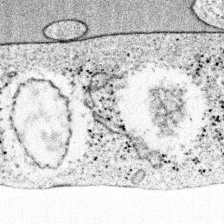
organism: Human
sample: HeLa cells